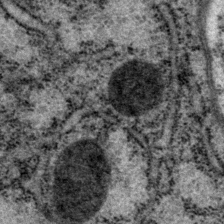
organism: P. pacificus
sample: Pharynx